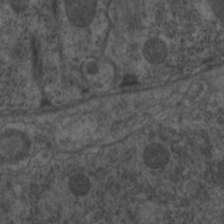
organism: C. elegans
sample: Pharynx